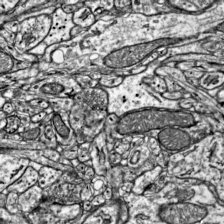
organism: Mouse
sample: Visual Cortex